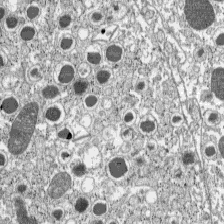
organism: C57BL Mouse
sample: Pancreatic islet